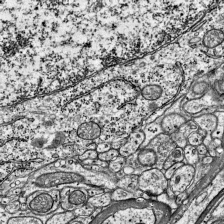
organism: Mouse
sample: Visual Cortex